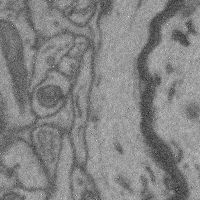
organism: Mouse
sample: Cerebral cortex